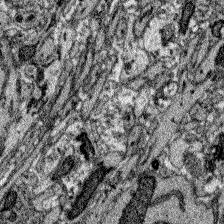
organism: Zebrafish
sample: Larval olfactory bulb